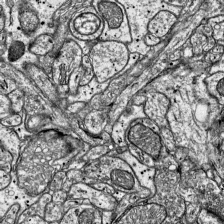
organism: Mouse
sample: Visual Cortex